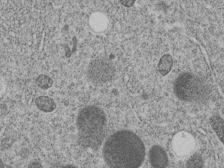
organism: C. elegans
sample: C. elegans embryo early stage